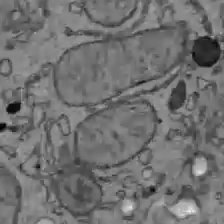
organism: C57BL Mouse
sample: Liver